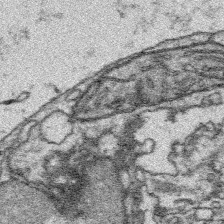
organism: Platynereis dumerilii